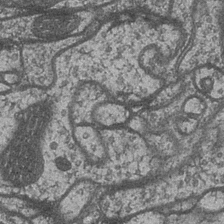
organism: Drosophila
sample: Optic medulla